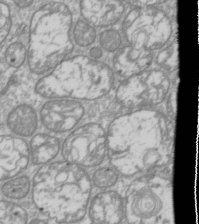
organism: Drosophila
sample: Cell division; meiosis; drosophila spermatocytes